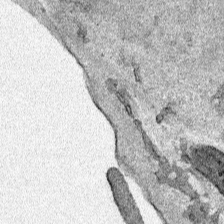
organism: Human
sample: Mitochondria in HCT116 cells